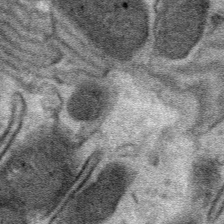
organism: Mouse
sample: Mouse Salivary gland